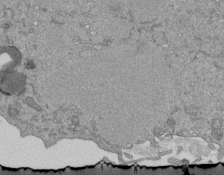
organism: Mouse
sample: ED-1 cell nuclei; centrioles